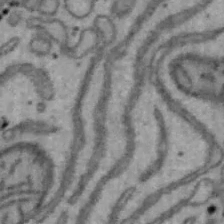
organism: Mouse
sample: Liver